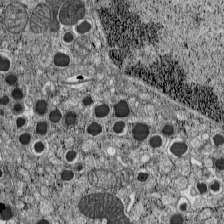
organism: C57BL Mouse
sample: Pancreatic islet